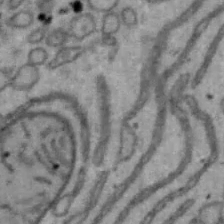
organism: Mouse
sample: Liver